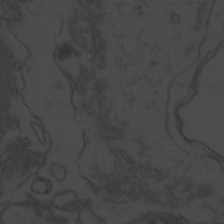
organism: Zebrafish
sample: Macrophage infected with Toxoplasma gondii